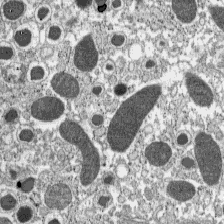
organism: C57BL Mouse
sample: Pancreatic islet